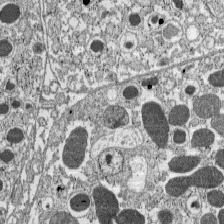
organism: C57BL Mouse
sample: Pancreatic islet